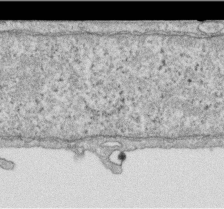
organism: Human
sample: Centriole in RPE cells